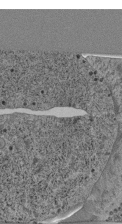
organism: C. elegans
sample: C. elegans pharynx